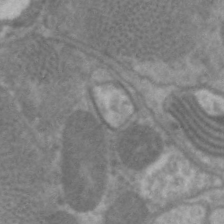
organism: C. elegans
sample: Pharynx